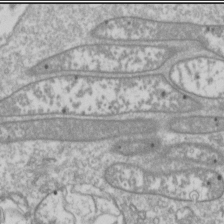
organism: Drosophila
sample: Cell division; meiosis; drosophila spermatocytes